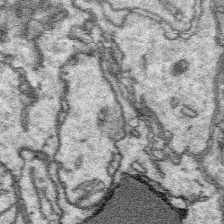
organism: Platynereis dumerilii